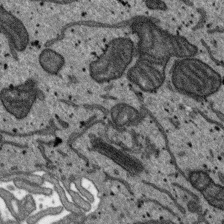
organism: Human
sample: Lung epithelial cells, uninfected (mock) control